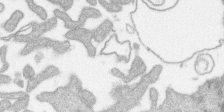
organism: Human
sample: Lung epithelial cells infected with SARS-CoV-2